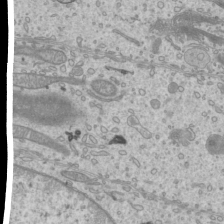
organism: Mouse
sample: Cilia; mouse epididymis